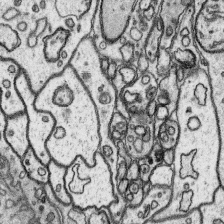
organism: Platynereis dumerilii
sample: Parapodia